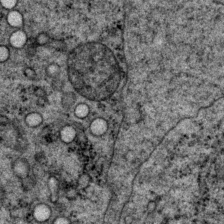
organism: P. pacificus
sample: Pharynx